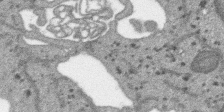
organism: Human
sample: Lung epithelial cells infected with SARS-CoV-2